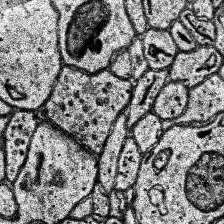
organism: Human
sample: Temporal Lobe